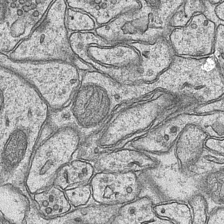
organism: Mouse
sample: CA1 Hippocampus